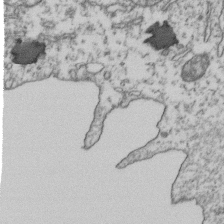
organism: Human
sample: Activated Jurkat CD4+ T cells